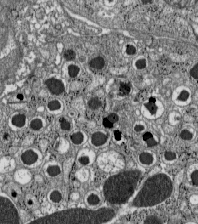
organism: C57BL Mouse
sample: Pancreatic islet